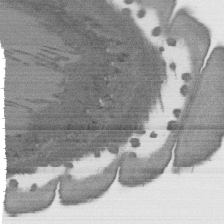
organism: C. elegans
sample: AFD neurons C. elegans